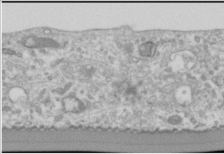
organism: Human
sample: Cilia; basal body in RPE cells